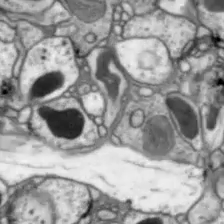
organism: Drosophila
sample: Optic lobe